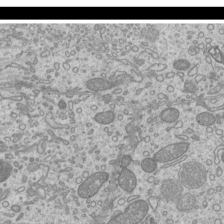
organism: Mouse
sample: Cilia; mouse epididymis